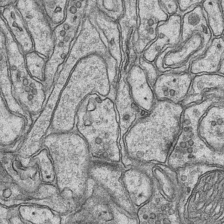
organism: Mouse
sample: CA1 Hippocampus